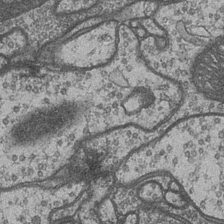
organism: Drosophila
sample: Optic medulla